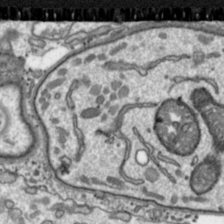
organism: Toxoplasma gondii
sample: Parasites in a vacuole inside a host cell